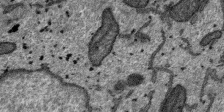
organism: Human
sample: Lung epithelial cells, uninfected (mock) control